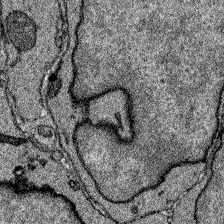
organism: Zebrafish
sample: Larval olfactory bulb